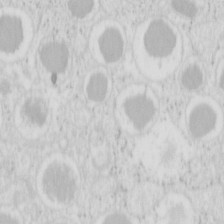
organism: Mouse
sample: Pancreas